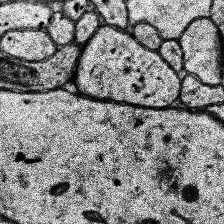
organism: Human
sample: Temporal Lobe